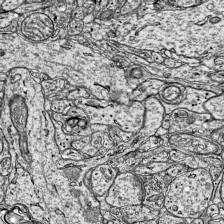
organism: Mouse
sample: Visual Cortex